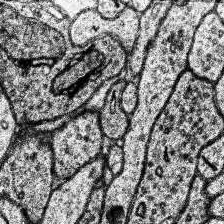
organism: Human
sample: Temporal Lobe